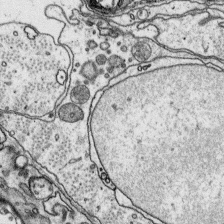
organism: Platynereis dumerilii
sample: Parapodia